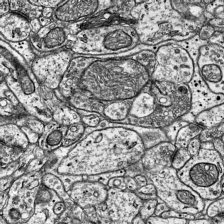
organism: Mouse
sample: Visual Cortex